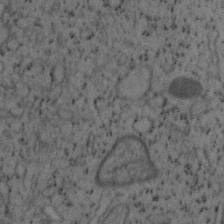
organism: Human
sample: HeLa cells